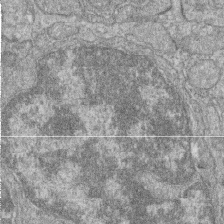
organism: Zebrafish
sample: Cilia; retinal pigment epithelium